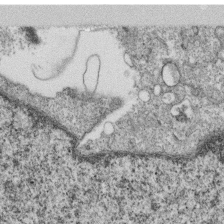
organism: African green monkey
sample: Vero E6 cells infected with SARS-CoV-2